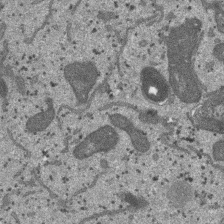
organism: Human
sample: Lung epithelial cells infected with SARS-CoV-2